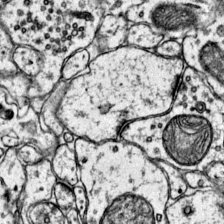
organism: Mouse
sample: Primary visual cortex